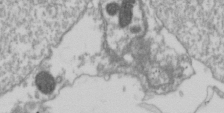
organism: Drosophila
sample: Cell division; meiosis; drosophila spermatocytes